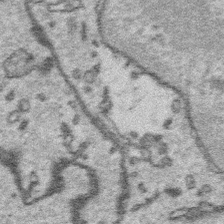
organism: Platynereis dumerilii